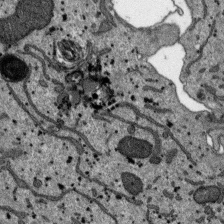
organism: Human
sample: Lung epithelial cells, uninfected (mock) control